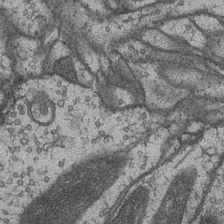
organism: Drosophila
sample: Optic medulla